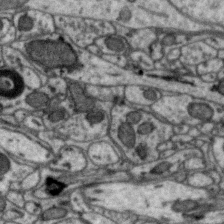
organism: Zebra finch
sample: Brain